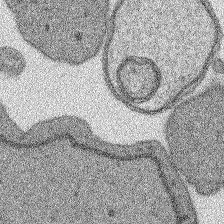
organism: Human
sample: HeLa cells